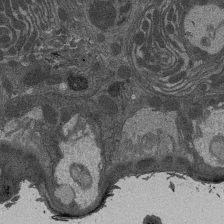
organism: Drosophila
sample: Antenna